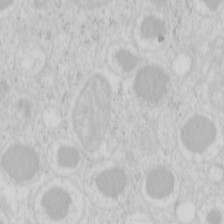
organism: Mouse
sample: Pancreas